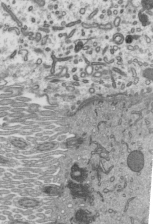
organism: Mouse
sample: Mouse epididymis efferent ductule cilia